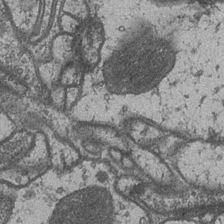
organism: Drosophila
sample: Optic medulla